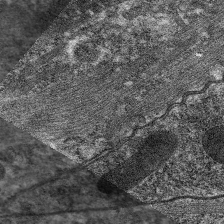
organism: C. elegans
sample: Pharynx